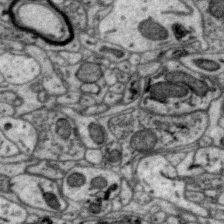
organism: Zebra finch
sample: Brain